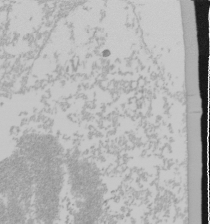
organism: Mouse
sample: Cancer cell death in ED-1 cells